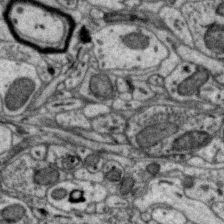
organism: Zebra finch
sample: Brain